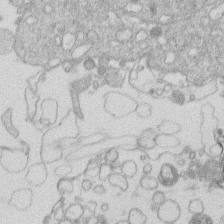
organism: Human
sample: Macrophage cells